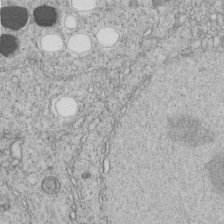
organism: C. elegans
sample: C. elegans embryo early stage